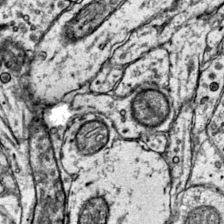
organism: Mouse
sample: Primary visual cortex